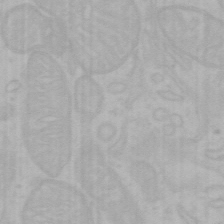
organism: Mouse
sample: Choroid plexus